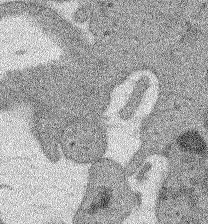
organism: Human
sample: HeLa cells